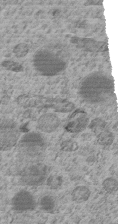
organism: C. elegans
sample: C. elegans embryo early stage